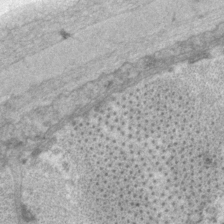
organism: P. pacificus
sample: Pharynx